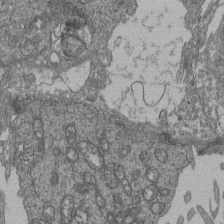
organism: Human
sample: Retinal organoid Rod and Cone cells